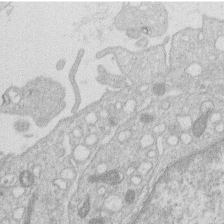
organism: Human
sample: Macrophage cells